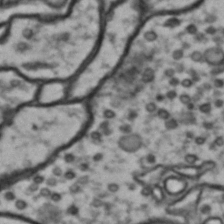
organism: Drosophila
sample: Brain